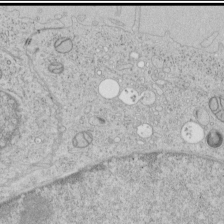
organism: Human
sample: Mitochondria in HCT116 cells